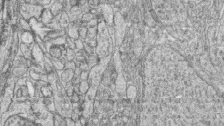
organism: Zebrafish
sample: synaptic ribbons in rod cells and cone cells